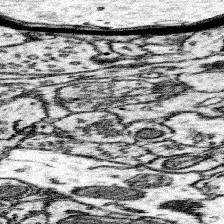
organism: Mouse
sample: Somatosensory cortex neuropil